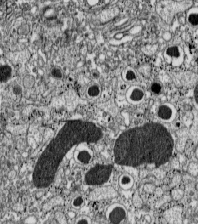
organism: C57BL Mouse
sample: Pancreatic islet